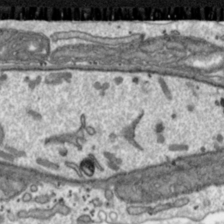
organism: Toxoplasma gondii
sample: Parasites in a vacuole inside a host cell